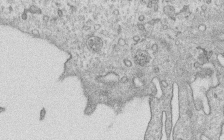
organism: Human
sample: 1205lu cells